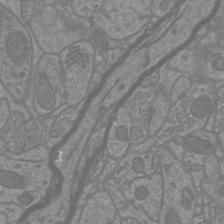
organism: Mouse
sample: Cortical neurons